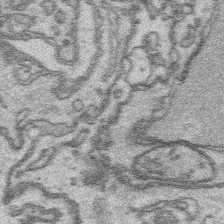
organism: Platynereis dumerilii